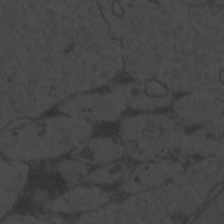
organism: Zebrafish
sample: Macrophage infected with Toxoplasma gondii